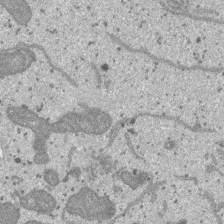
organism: Human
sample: Lung epithelial cells infected with SARS-CoV-2